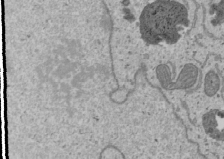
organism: Human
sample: Mitochondria in U2OS cells